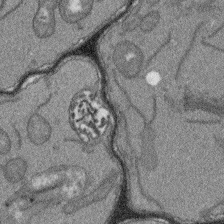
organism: Arabidopsis thaliana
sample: Root tip